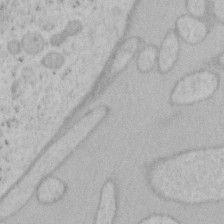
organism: Human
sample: HeLa cells